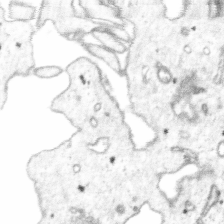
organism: Human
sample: HeLa cells